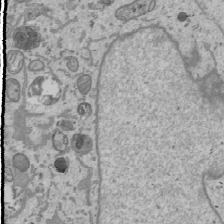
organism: Human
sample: Mitochondria in U2OS cells